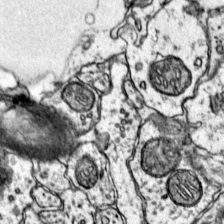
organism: Mouse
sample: Primary visual cortex